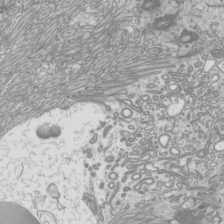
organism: Mouse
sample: Cilia; mouse epididymis